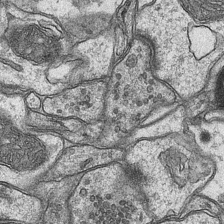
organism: Mouse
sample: CA1 Hippocampus